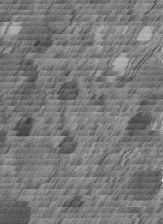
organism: C. elegans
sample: C. elegans embryo early stage